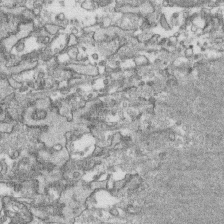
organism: Human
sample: CRL-1474